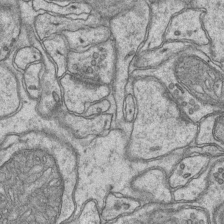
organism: Mouse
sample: CA1 Hippocampus